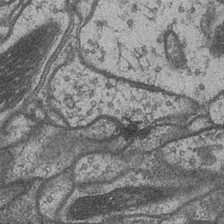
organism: Drosophila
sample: Optic medulla